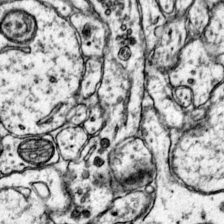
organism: Mouse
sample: Primary visual cortex